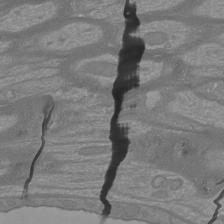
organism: Mouse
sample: Cortical neurons